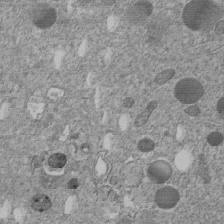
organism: C. elegans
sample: C. elegans embryo early stage